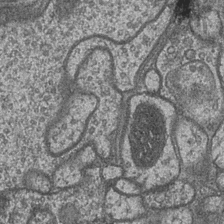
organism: Drosophila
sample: Optic medulla